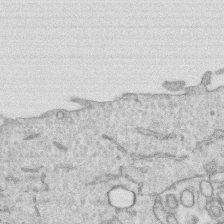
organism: Human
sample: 1205lu cells